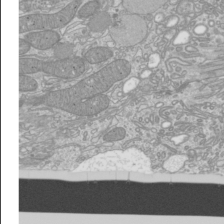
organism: Mouse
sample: Cilia; mouse epididymis